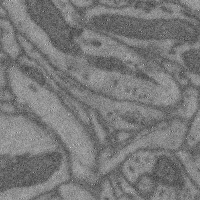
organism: Mouse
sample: Cerebral cortex